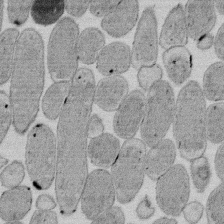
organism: E. coli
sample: Bacterial nucleoid